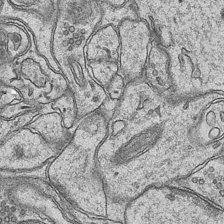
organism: Mouse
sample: CA1 Hippocampus